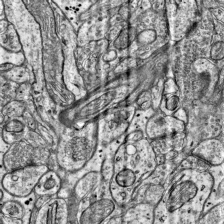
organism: Mouse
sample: Visual Cortex